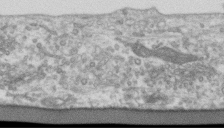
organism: Human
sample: Centriole in RPE cells